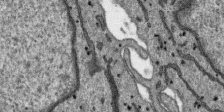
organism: Human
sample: Lung epithelial cells, uninfected (mock) control